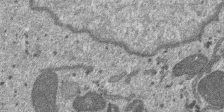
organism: Human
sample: Lung epithelial cells infected with SARS-CoV-2